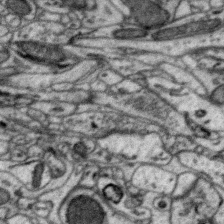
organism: Zebra finch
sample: Brain